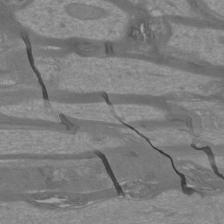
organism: Mouse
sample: Cortical neurons